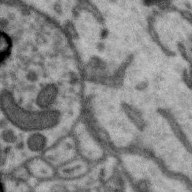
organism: Zebra finch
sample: Brain